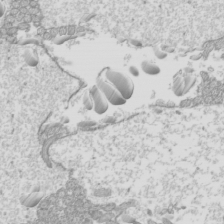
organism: Mouse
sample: Cilia; mouse epididymis